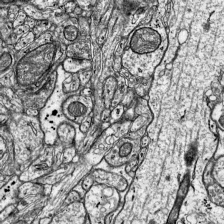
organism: Mouse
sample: Visual Cortex